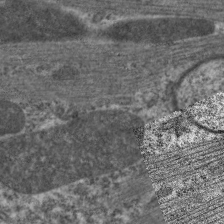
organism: C. elegans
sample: Pharynx